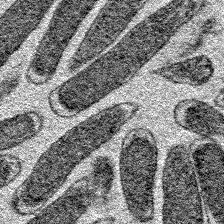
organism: E. coli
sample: E. Coli Bacteria